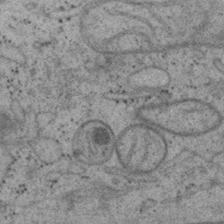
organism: Human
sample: HeLa cells